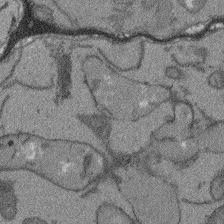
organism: Arabidopsis thaliana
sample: Root tip